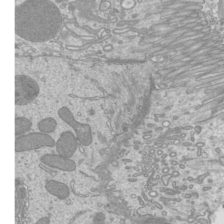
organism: Mouse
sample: Cilia; mouse epididymis